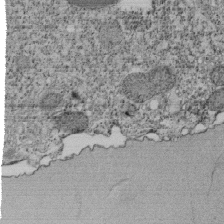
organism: Tetrahymena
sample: Cilia in tetrahymena